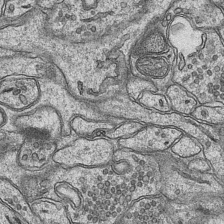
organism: Mouse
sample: CA1 Hippocampus